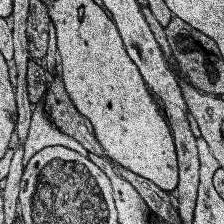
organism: Human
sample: Temporal Lobe